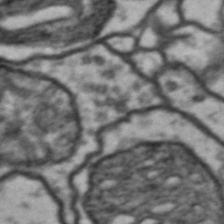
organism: Drosophila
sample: Brain